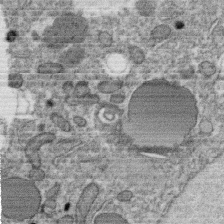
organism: C. elegans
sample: C. elegans oocyte; sperm cells